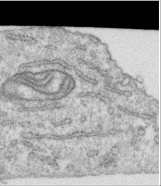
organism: Human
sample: Centriole in RPE cells